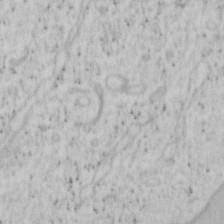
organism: Human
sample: HeLa cells